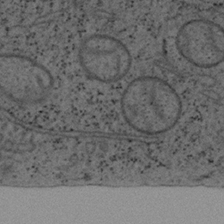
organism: Human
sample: HeLa cells